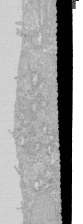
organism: Human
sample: Caco-2 cells